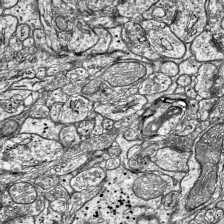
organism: Mouse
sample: Visual Cortex